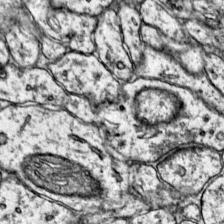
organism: Mouse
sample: Primary visual cortex